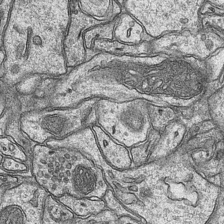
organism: Mouse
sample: CA1 Hippocampus